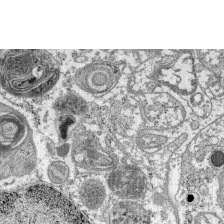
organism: C57BL Mouse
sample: Pancreatic islet